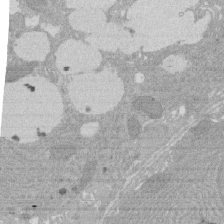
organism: Rat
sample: Salivary granule